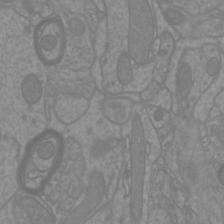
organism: Mouse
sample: Cortical neurons